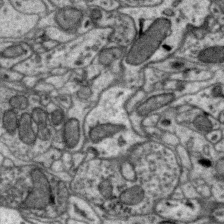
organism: Zebra finch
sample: Brain